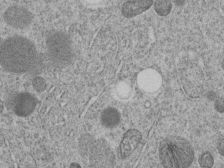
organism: C. elegans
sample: C. elegans embryo early stage